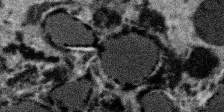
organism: Human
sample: Lung epithelial cells infected with SARS-CoV-2